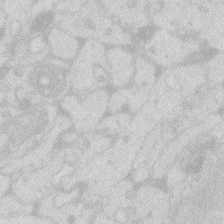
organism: Zebrafish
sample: Macrophage